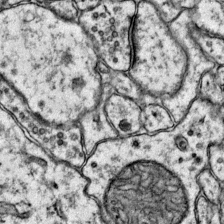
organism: Mouse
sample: Primary visual cortex